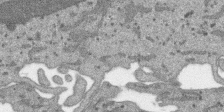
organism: Human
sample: Lung epithelial cells infected with SARS-CoV-2